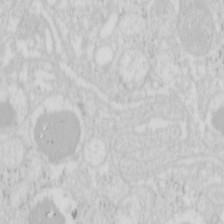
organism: Mouse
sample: Pancreas